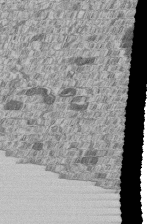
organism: Human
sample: MDA-MB-231 cells